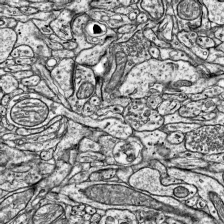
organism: Mouse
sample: Visual Cortex